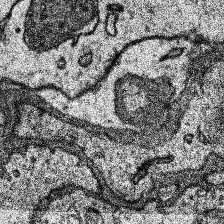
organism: Human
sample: Temporal Lobe